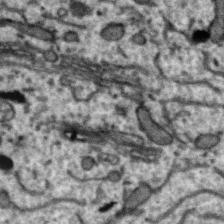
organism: Zebra finch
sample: Brain